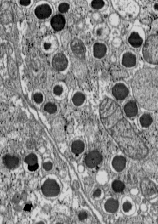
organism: C57BL Mouse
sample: Pancreatic islet